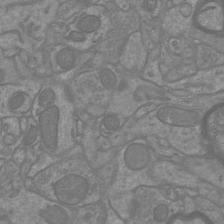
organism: Mouse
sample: Cortical neurons